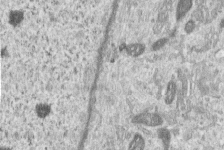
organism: Human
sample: Centriole in RPE cells